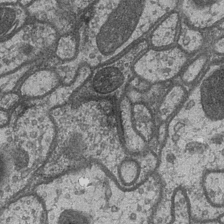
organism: Drosophila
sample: Optic medulla